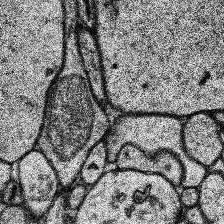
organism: Human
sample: Temporal Lobe